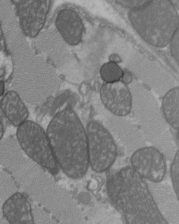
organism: C57BL Mouse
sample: Heart